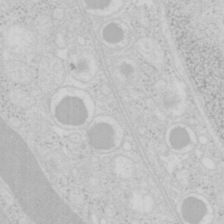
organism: Mouse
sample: Pancreas